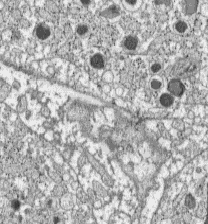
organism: C57BL Mouse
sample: Pancreatic islet